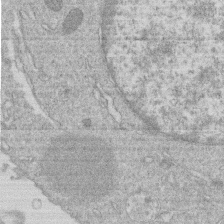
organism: Human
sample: Macrophage cells